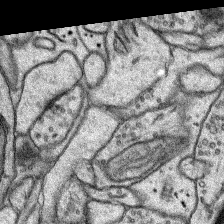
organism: Rat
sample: Hippocampus